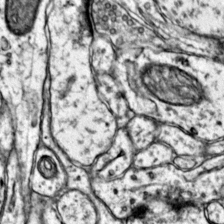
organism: Mouse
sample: Primary visual cortex